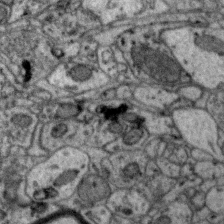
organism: Zebra finch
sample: Brain